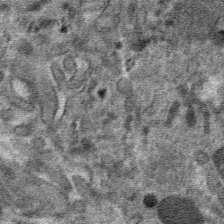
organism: Mouse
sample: Mouse hepatocytes